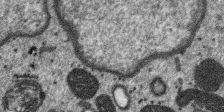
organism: Human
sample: Lung epithelial cells infected with SARS-CoV-2